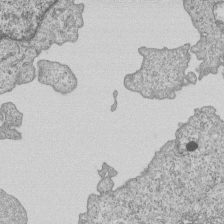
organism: Human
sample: MDA-MB-231 cells